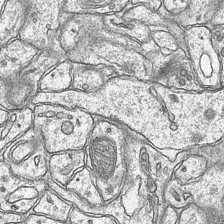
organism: Mouse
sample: CA1 Hippocampus